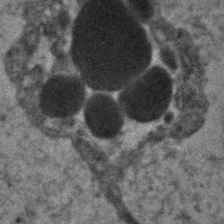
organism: Human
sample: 1205lu cells